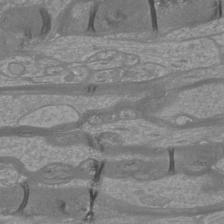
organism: Mouse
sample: Cortical neurons